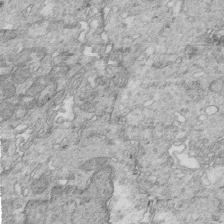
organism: Mouse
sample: Multiciliated cells